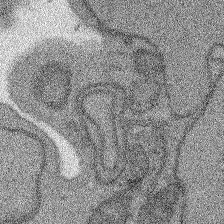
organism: Human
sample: HeLa cells